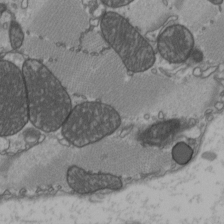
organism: C57BL Mouse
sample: Heart